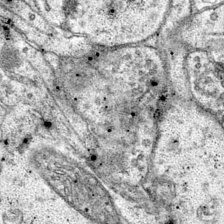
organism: Mouse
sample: Primary visual cortex